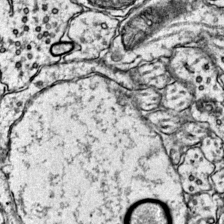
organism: Mouse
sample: Primary visual cortex